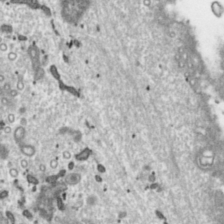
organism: Toxoplasma gondii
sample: Parasites in a vacuole inside a host cell